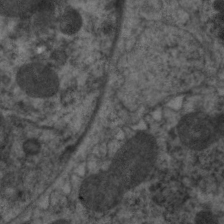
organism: C. elegans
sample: Pharynx